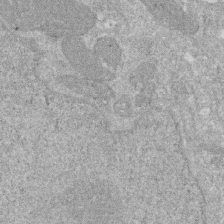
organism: Human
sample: HIV infected U937 cells